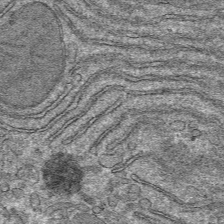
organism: Mouse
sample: Mouse hepatocytes